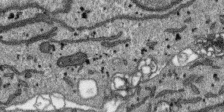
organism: Human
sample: Lung epithelial cells, uninfected (mock) control